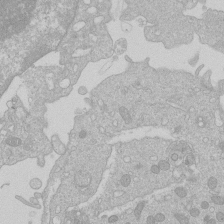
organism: Human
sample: Macrophage cells